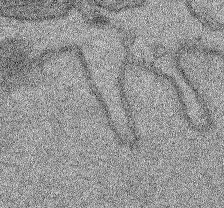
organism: Human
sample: HeLa cells